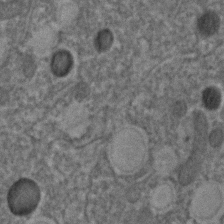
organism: C. elegans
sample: C. elegans embryo